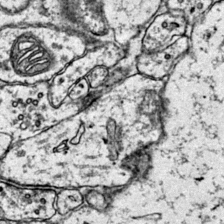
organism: Mouse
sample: Primary visual cortex